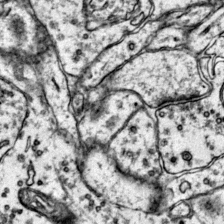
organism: Mouse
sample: Primary visual cortex